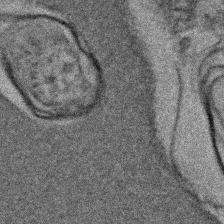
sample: Kidney